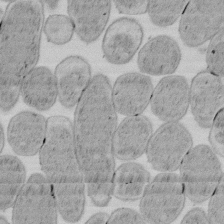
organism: E. coli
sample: Bacterial nucleoid